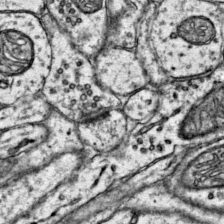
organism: Mouse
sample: Primary visual cortex